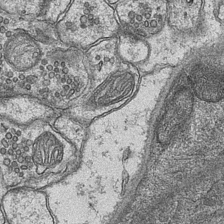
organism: Mouse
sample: CA1 Hippocampus